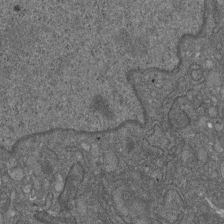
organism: Drosophila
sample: Nephrocyte